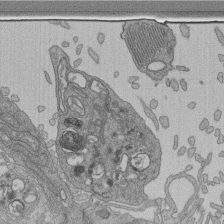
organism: Human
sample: Retinal organoid Rod and Cone cells